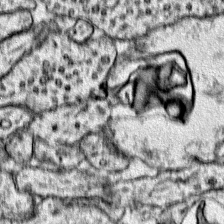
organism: Mouse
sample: Primary visual cortex